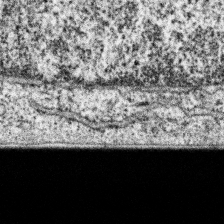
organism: Human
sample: HeLa cells